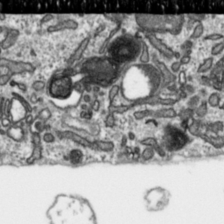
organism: Toxoplasma gondii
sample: Parasites in a vacuole inside a host cell